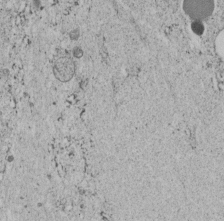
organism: C. elegans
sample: C. elegans embryo early stage